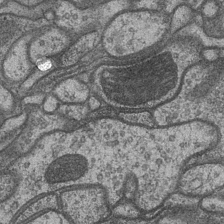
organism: Drosophila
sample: Optic medulla